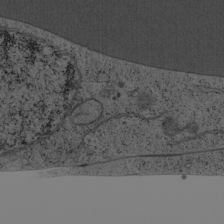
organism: African green monkey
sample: COS-7 cells